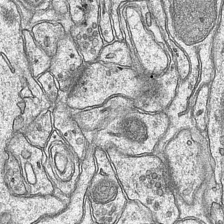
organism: Mouse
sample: CA1 Hippocampus